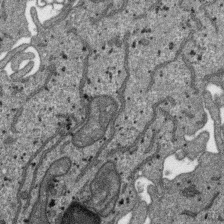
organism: Human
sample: Lung epithelial cells infected with SARS-CoV-2